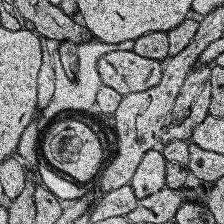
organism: Human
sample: Temporal Lobe